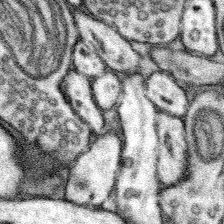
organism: Mouse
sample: Somatosensory cortex neuropil